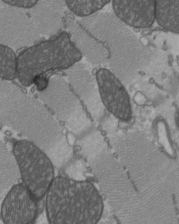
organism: C57BL Mouse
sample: Heart